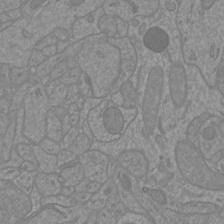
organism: Mouse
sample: Cortical neurons